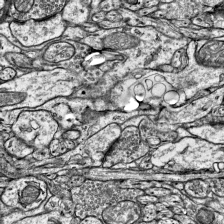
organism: Mouse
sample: Visual Cortex